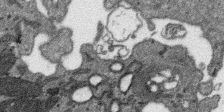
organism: Human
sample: Lung epithelial cells infected with SARS-CoV-2